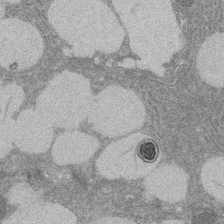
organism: Rat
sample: Salivary granule